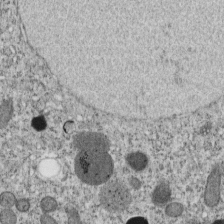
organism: C. elegans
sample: C. elegans embryo early stage